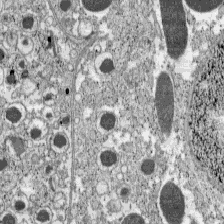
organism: C57BL Mouse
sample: Pancreatic islet